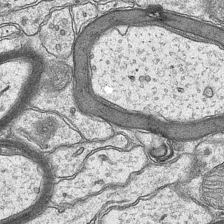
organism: Mouse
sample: CA1 Hippocampus